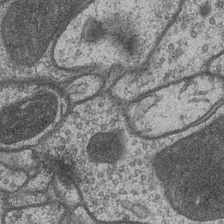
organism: Drosophila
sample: Optic medulla